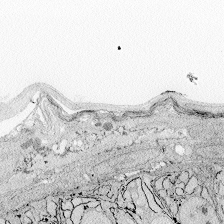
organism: Zebrafish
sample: Whole-Brain